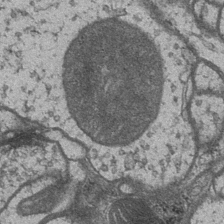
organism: Drosophila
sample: Optic medulla